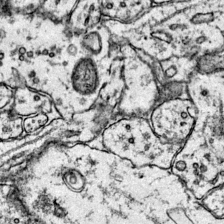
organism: Mouse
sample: Primary visual cortex